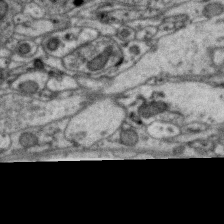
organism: Zebra finch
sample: Brain